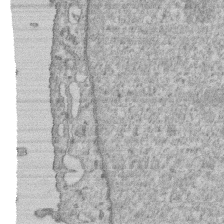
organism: Human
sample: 1205lu cells